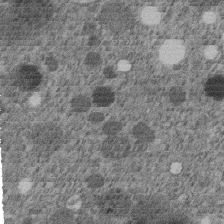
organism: C. elegans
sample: C. elegans embryo early stage